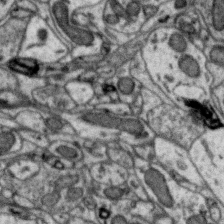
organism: Zebra finch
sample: Brain